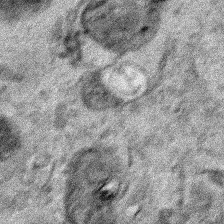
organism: Human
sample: Mitochondria in HCT116 cells